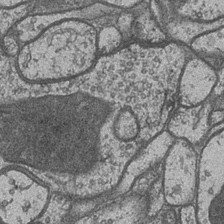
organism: Drosophila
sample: Optic medulla